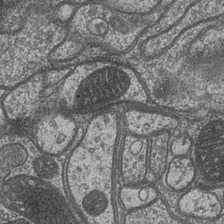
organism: Drosophila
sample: Optic medulla